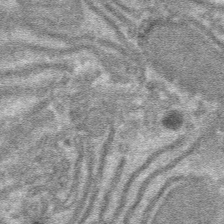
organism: Mouse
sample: Mouse hepatocytes